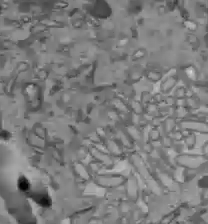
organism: C57BL Mouse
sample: Liver